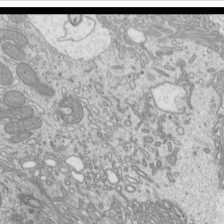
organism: Mouse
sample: Cilia; mouse epididymis